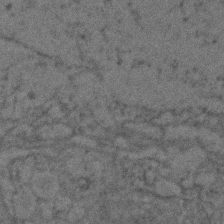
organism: Zebrafish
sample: Zebrafish embryo